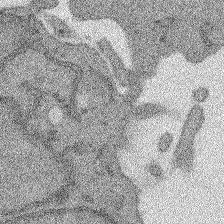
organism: Human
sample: HeLa cells